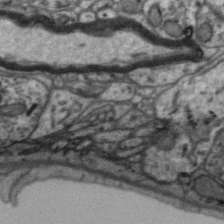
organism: Zebra finch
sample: Brain